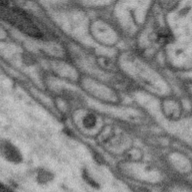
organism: Zebra finch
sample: Brain